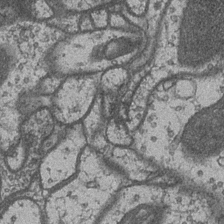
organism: Drosophila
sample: Optic medulla